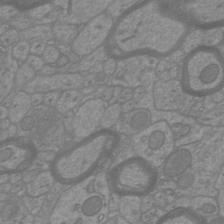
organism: Mouse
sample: Cortical neurons